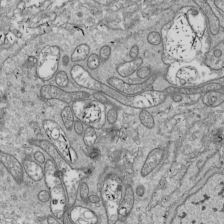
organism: Drosophila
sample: Cell division; meiosis; drosophila spermatocytes